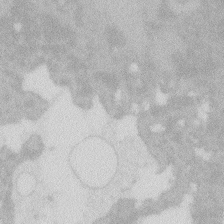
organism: Zebrafish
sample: Macrophage